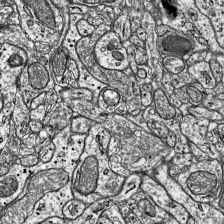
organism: Mouse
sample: Visual Cortex